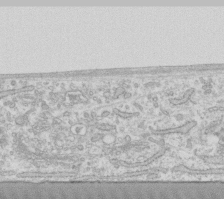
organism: Human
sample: Fibroblast cells